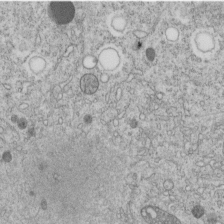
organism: C. elegans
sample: C. elegans embryo early stage